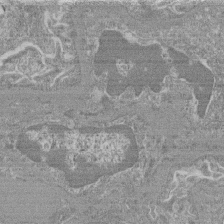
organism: Mouse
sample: Glomerulus